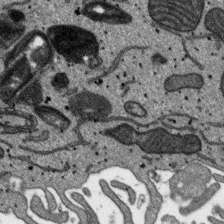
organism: Human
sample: Lung epithelial cells, uninfected (mock) control